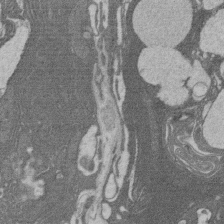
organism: Rat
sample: Salivary granule